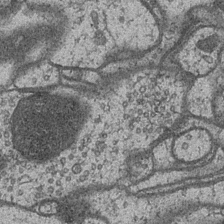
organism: Drosophila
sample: Optic medulla